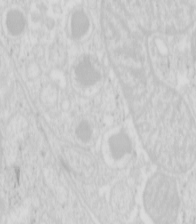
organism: Mouse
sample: Pancreas